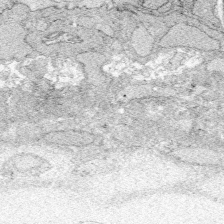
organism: Zebrafish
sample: Whole-Brain